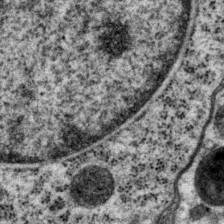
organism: P. pacificus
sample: Pharynx